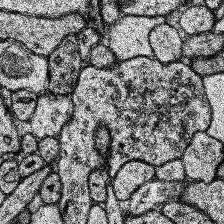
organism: Human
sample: Temporal Lobe